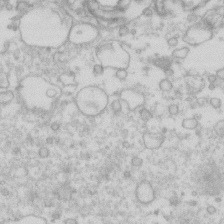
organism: Human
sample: Fibroblast cells